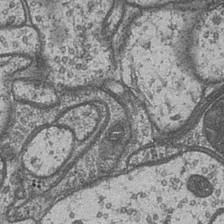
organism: Drosophila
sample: Optic medulla